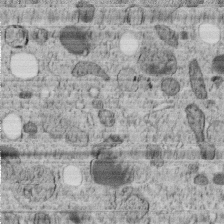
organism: C. elegans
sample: C. elegans embryo early stage